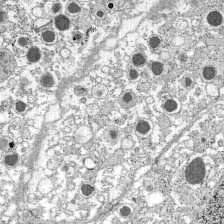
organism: C57BL Mouse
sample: Pancreatic islet